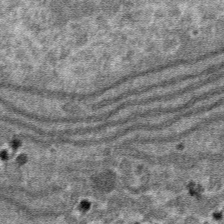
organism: Mouse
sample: Mouse hepatocytes